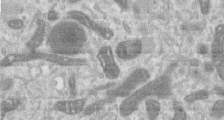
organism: Human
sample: Centriole in RPE cells